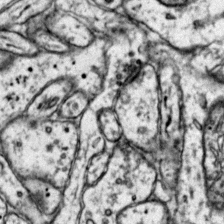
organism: Mouse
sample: Primary visual cortex